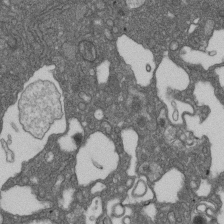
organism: Drosophila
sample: Nephrocyte